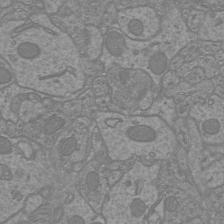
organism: Mouse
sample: Cortical neurons